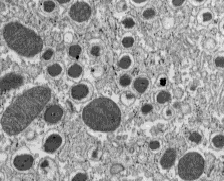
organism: C57BL Mouse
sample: Pancreatic islet